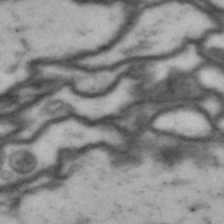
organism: Drosophila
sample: Brain